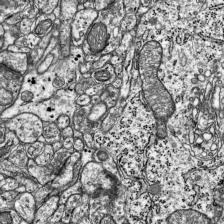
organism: Mouse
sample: Visual Cortex